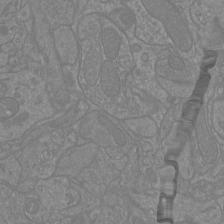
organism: Mouse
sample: Cortical neurons